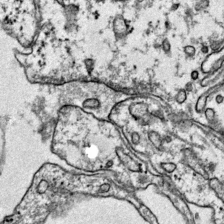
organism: Mouse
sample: Primary visual cortex